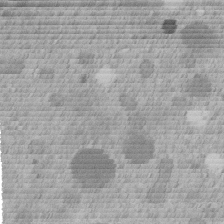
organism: C. elegans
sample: C. elegans embryo early stage